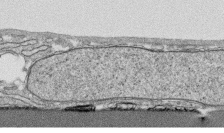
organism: Human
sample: CRL-1474